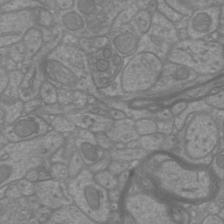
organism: Mouse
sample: Cortical neurons